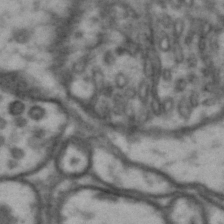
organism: Drosophila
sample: Brain